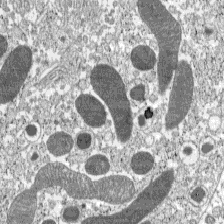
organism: C57BL Mouse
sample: Pancreatic islet